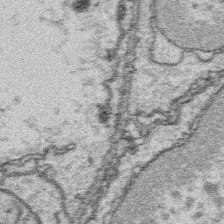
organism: Platynereis dumerilii